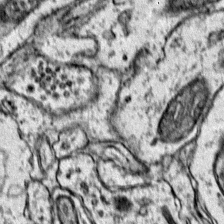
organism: Mouse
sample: Primary visual cortex